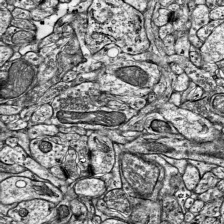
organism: Mouse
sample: Visual Cortex